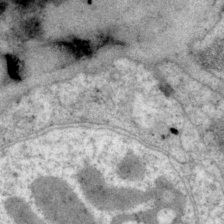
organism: P. pacificus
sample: Pharynx